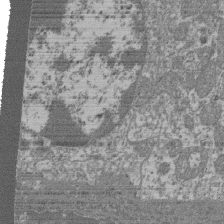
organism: Mouse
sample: Glomerulus